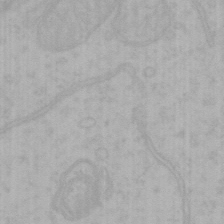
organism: Mouse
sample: Choroid plexus